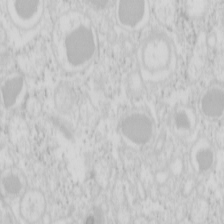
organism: Mouse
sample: Pancreas